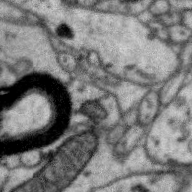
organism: Zebra finch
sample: Brain